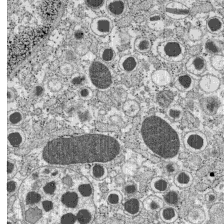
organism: C57BL Mouse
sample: Pancreatic islet